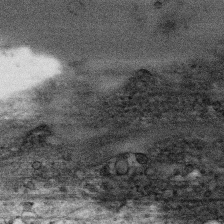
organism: Human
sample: CRL-1474